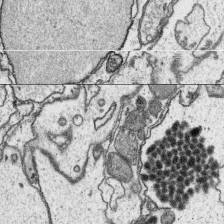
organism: Platynereis dumerilii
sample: Parapodia